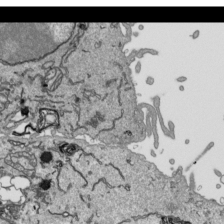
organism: Human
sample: Mitochondria in HCT116 cells